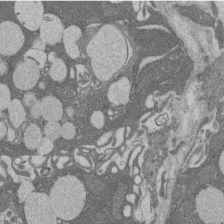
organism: Rat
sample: Salivary granule